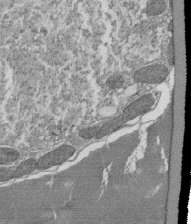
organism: Tetrahymena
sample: Cilia in tetrahymena